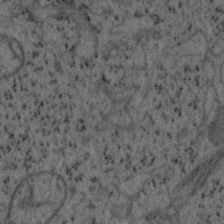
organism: Human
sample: HeLa cells